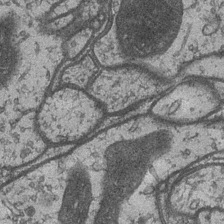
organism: Drosophila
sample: Optic medulla